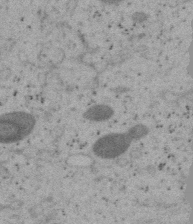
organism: Human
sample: HeLa cells